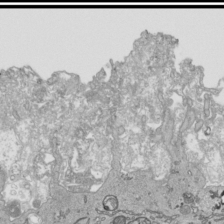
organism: Human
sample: Mitochondria in HCT116 cells